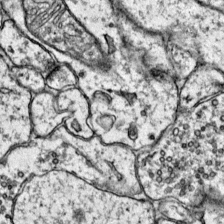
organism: Mouse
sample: Primary visual cortex